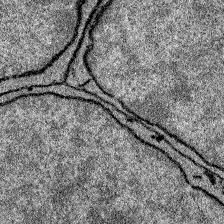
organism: Zebrafish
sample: Larval olfactory bulb